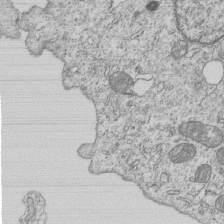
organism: Human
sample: MDA-MB-231 cells